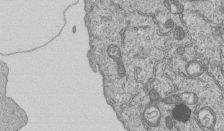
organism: Human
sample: MDA-MB-231 cells